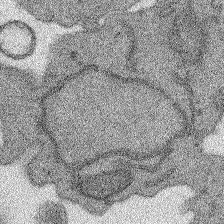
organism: Human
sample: HeLa cells